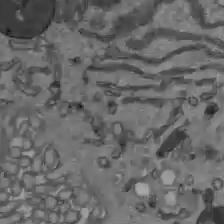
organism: C57BL Mouse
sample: Liver